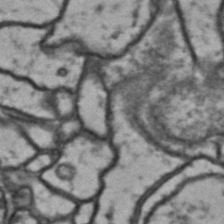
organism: Drosophila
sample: Brain